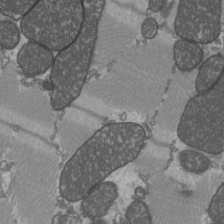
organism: C57BL Mouse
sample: Heart